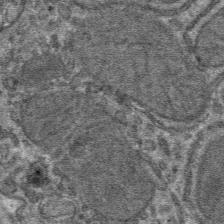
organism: Mouse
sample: Mouse hepatocytes